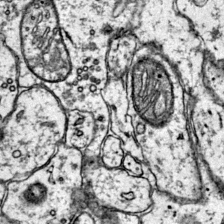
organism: Mouse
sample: Primary visual cortex